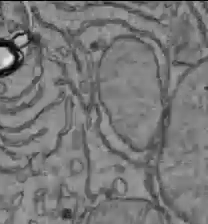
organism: C57BL Mouse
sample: Liver